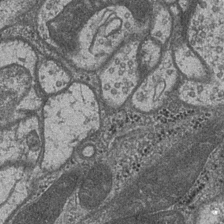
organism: Drosophila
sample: Optic medulla